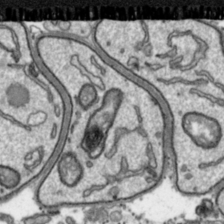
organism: Toxoplasma gondii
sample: Parasites in a vacuole inside a host cell